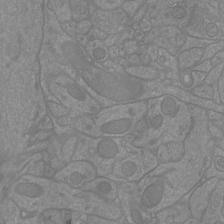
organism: Mouse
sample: Cortical neurons